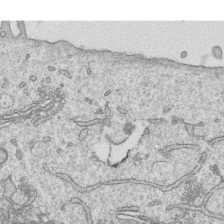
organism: Human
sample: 1205lu cells